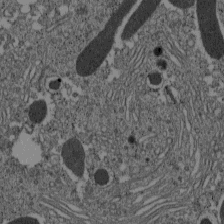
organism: C57BL Mouse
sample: Pancreatic islet